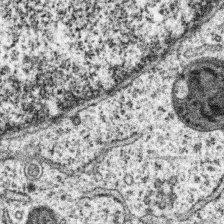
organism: Human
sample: HeLa cells